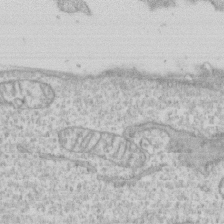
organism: Human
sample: CRL-1474